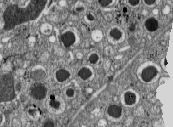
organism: C57BL Mouse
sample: Pancreatic islet